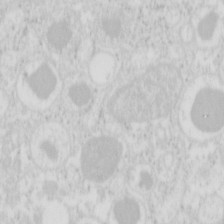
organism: Mouse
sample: Pancreas